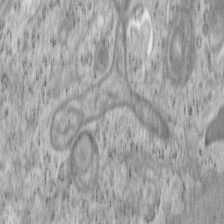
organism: Human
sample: HeLa cells